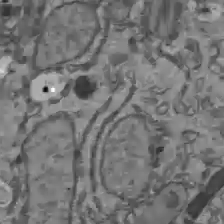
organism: C57BL Mouse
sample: Liver